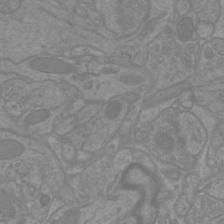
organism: Mouse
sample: Cortical neurons